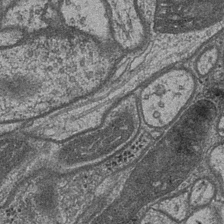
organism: Drosophila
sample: Optic medulla